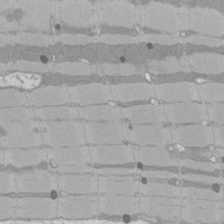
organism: Rat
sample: Left ventricle